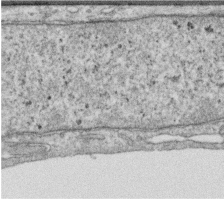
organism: Human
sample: Centriole in RPE cells